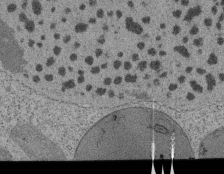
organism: Tetrahymena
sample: Cilia in tetrahymena